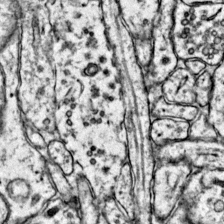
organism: Mouse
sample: Primary visual cortex